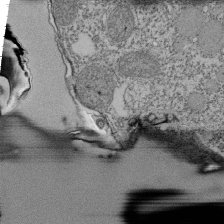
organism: Tetrahymena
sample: Cilia in tetrahymena